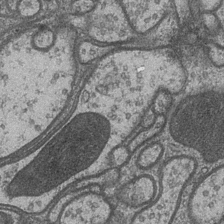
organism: Drosophila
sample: Optic medulla